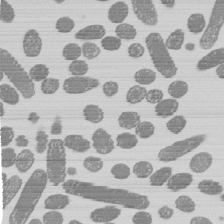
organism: E. coli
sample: Bacterial nucleoid